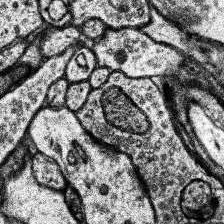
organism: Human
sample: Temporal Lobe